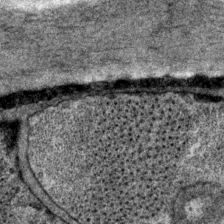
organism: P. pacificus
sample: Pharynx